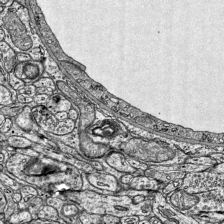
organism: Mouse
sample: Visual Cortex